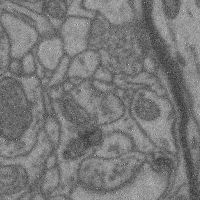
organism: Mouse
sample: Cerebral cortex